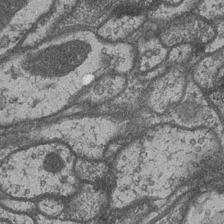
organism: Drosophila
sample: Optic medulla